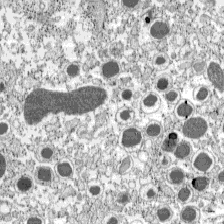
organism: C57BL Mouse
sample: Pancreatic islet